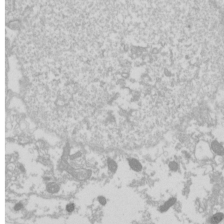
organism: Drosophila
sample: Cell division; meiosis; drosophila spermatocytes